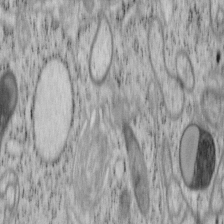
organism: Human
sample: HeLa cells